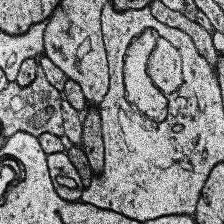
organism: Human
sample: Temporal Lobe